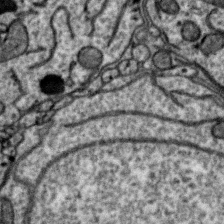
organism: Zebra finch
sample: Brain